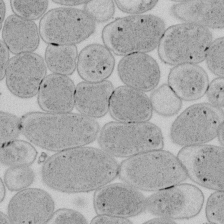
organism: E. coli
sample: Bacterial nucleoid